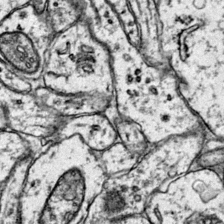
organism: Mouse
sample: Primary visual cortex